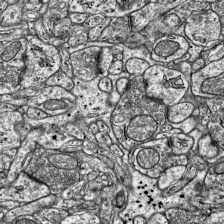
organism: Mouse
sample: Visual Cortex